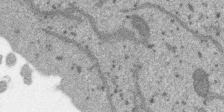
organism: Human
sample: Lung epithelial cells infected with SARS-CoV-2